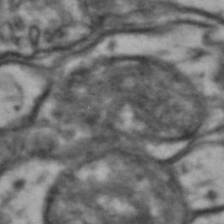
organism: Drosophila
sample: Brain